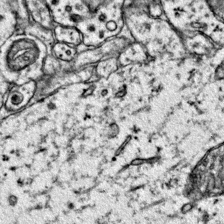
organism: Mouse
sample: Primary visual cortex